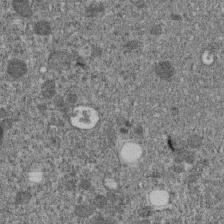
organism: C. elegans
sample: C. elegans embryo early stage